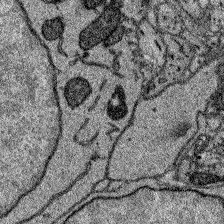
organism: Zebrafish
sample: Larval olfactory bulb